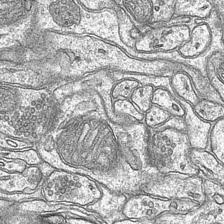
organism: Mouse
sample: CA1 Hippocampus